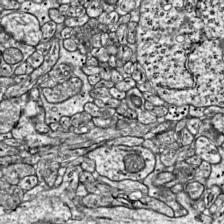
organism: Mouse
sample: Visual Cortex